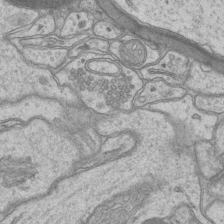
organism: Mouse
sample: CA1 Hippocampus